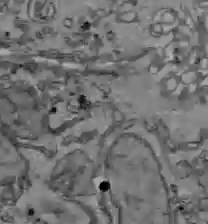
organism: C57BL Mouse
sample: Liver